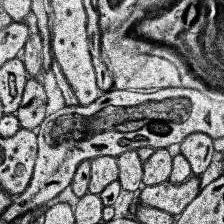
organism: Human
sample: Temporal Lobe